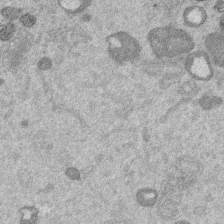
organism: Mouse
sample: Dividing mouse embryo 1 cell stage